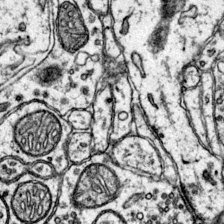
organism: Mouse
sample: Primary visual cortex